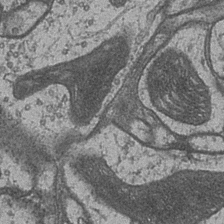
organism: Drosophila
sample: Optic medulla